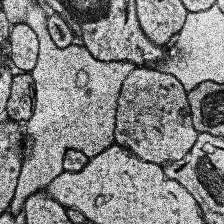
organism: Human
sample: Temporal Lobe